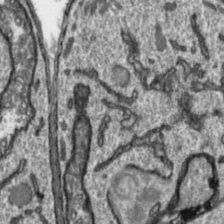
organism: Toxoplasma gondii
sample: Parasites in a vacuole inside a host cell